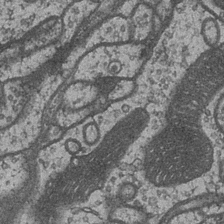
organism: Drosophila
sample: Optic medulla